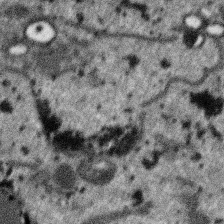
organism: Human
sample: Lung epithelial cells infected with SARS-CoV-2